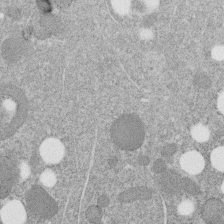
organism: C. elegans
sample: C. elegans embryo early stage